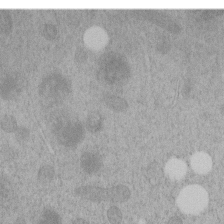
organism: C. elegans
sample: C. elegans embryo early stage